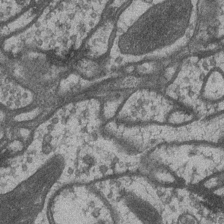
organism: Drosophila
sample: Optic medulla